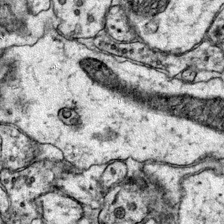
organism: Mouse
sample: Primary visual cortex